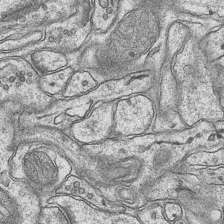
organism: Mouse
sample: CA1 Hippocampus